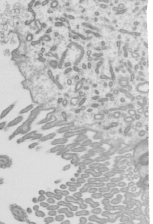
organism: Mouse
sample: Mouse epididymis efferent ductule cilia